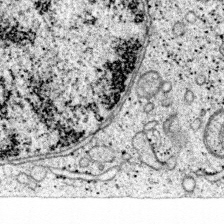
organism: Human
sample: HeLa cells